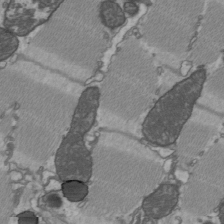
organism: C57BL Mouse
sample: Heart